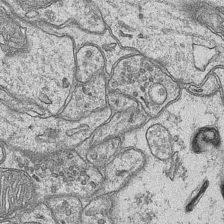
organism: Mouse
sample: CA1 Hippocampus